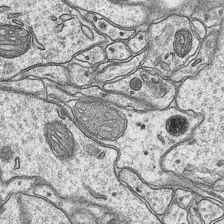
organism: Mouse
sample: CA1 Hippocampus